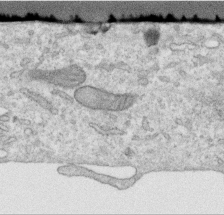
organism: Human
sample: Centriole in RPE cells